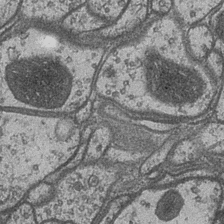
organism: Drosophila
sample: Optic medulla